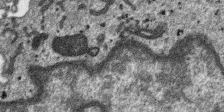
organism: Human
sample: Lung epithelial cells infected with SARS-CoV-2